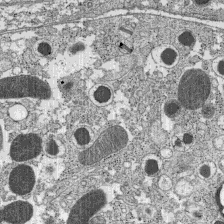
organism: C57BL Mouse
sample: Pancreatic islet